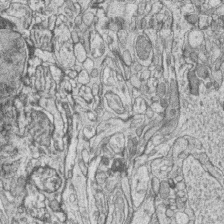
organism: Zebrafish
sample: synaptic ribbons in rod cells and cone cells